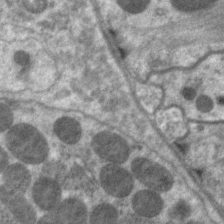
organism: C. elegans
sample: Pharynx